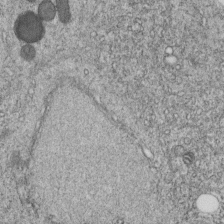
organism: C. elegans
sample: C. elegans embryo early stage